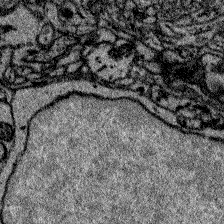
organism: Zebrafish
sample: Larval olfactory bulb